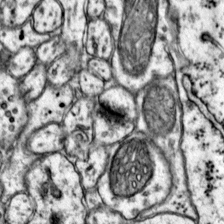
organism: Mouse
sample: Primary visual cortex